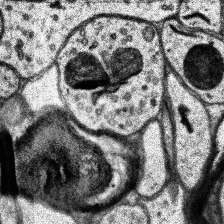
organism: Human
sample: Temporal Lobe